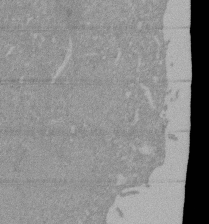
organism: Mouse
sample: ED-1 cell nuclei; centrioles